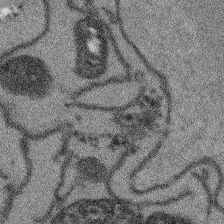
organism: Arabidopsis thaliana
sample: Root tip